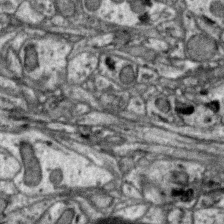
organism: Zebra finch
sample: Brain